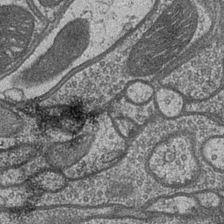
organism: Drosophila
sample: Optic medulla